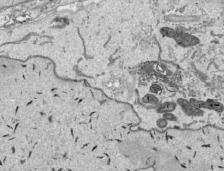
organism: Human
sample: Mitochondria in HCT116 cells